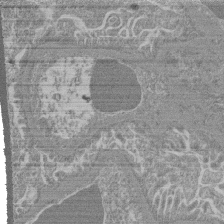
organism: Mouse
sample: Glomerulus